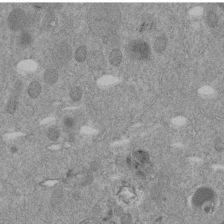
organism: C. elegans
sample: C. elegans embryo early stage